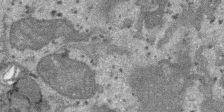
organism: Human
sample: Lung epithelial cells infected with SARS-CoV-2